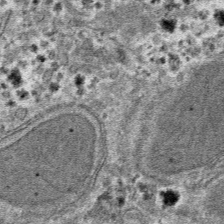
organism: Mouse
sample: Mouse hepatocytes